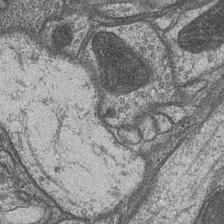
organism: Drosophila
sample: Optic medulla